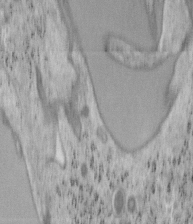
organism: Human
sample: HeLa cells